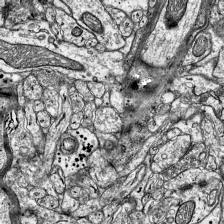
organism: Mouse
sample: Visual Cortex